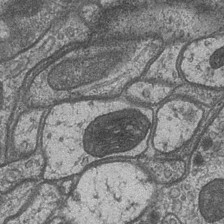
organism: Drosophila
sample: Optic medulla